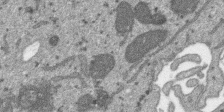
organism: Human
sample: Lung epithelial cells infected with SARS-CoV-2